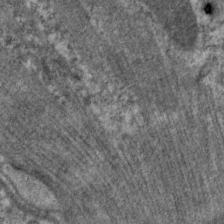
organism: C. elegans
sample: Pharynx